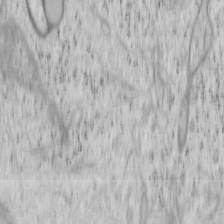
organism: Human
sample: HeLa cells